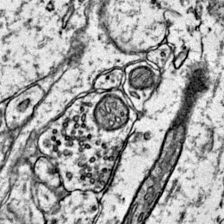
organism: Mouse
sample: Primary visual cortex